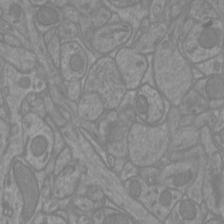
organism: Mouse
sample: Cortical neurons